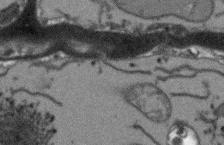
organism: Arabidopsis thaliana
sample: Root tip